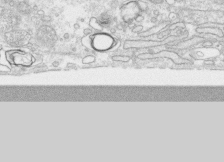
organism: Human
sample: CRL-1474